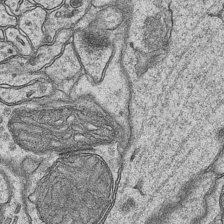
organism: Mouse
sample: CA1 Hippocampus